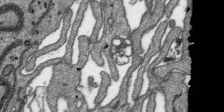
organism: Human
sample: Lung epithelial cells, uninfected (mock) control